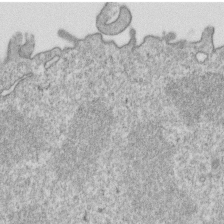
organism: Mouse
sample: Activated OT-1 CD8+ T cells